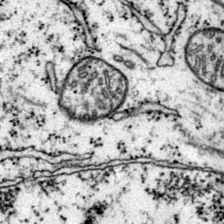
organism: Mouse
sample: Primary visual cortex